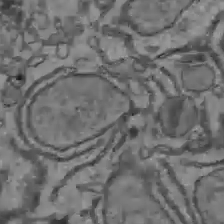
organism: C57BL Mouse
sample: Liver